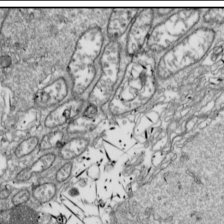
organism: Drosophila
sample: Cell division; meiosis; drosophila spermatocytes